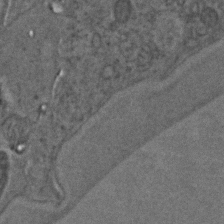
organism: C. elegans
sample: C. elegans embryo